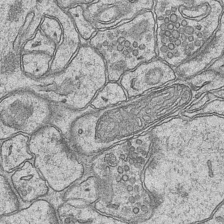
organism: Mouse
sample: CA1 Hippocampus